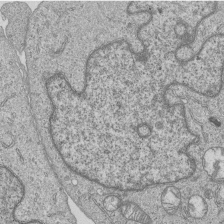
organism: Human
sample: MDA-MB-231 cells